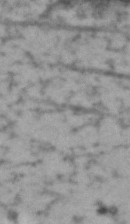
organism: Drosophila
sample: Brain